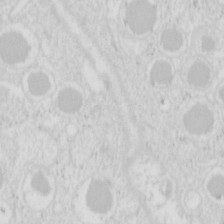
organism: Mouse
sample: Pancreas